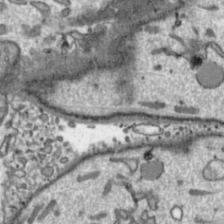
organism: Toxoplasma gondii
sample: Parasites in a vacuole inside a host cell